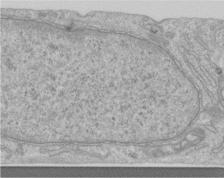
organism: Human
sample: Centriole in RPE cells